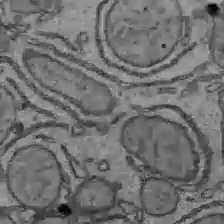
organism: C57BL Mouse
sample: Liver